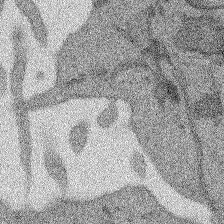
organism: Human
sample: HeLa cells